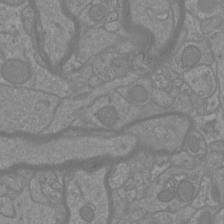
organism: Mouse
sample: Cortical neurons